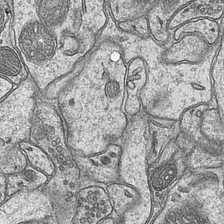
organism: Mouse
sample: CA1 Hippocampus